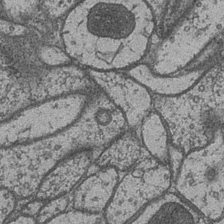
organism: Drosophila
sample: Optic medulla